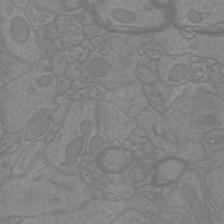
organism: Mouse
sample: Cortical neurons